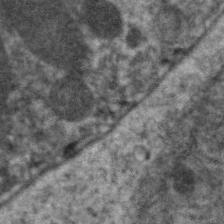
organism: C. elegans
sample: Pharynx